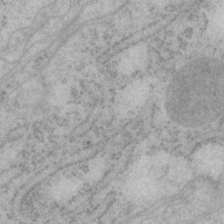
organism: P. pacificus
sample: Pharynx